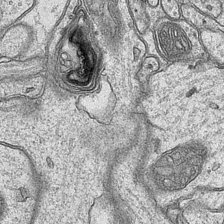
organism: Mouse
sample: CA1 Hippocampus